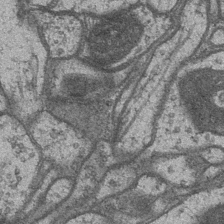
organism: Drosophila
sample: Optic medulla